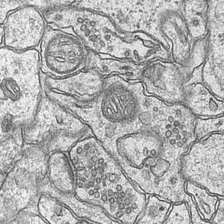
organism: Mouse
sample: CA1 Hippocampus